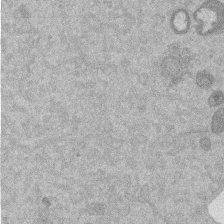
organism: Mouse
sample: Dividing mouse embryo 1 cell stage